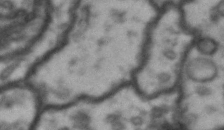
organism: Drosophila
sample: Brain